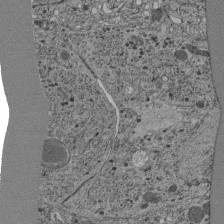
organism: C. elegans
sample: C. elegans pharynx